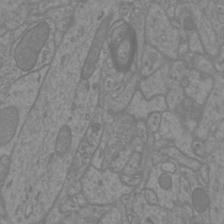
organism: Mouse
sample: Cortical neurons